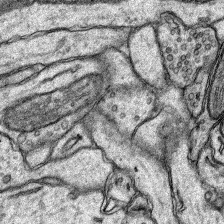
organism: Rat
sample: Hippocampus